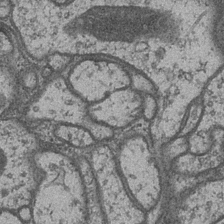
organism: Drosophila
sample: Optic medulla